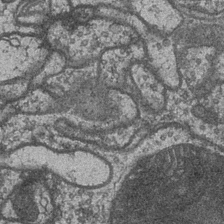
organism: Drosophila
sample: Optic medulla